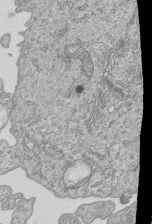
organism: Human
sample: MDA-MB-231 cells